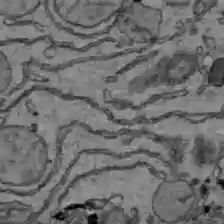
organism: C57BL Mouse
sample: Liver